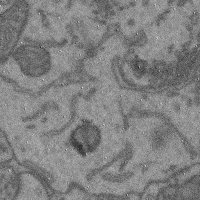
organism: Mouse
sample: Cerebral cortex